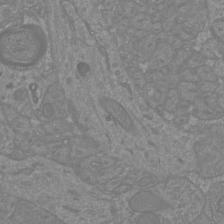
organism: Mouse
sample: Cortical neurons